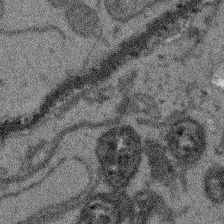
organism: Arabidopsis thaliana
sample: Root tip